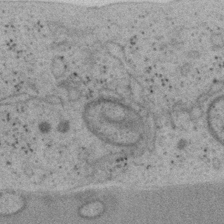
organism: Human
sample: HeLa cells